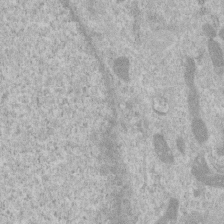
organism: Human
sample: Centriole in RPE cells